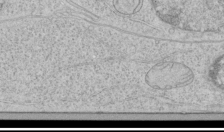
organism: Human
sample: Mitochondria in HCT116 cells